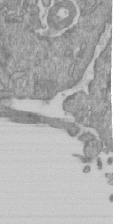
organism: Mouse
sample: ED-1 cell nuclei; centrioles